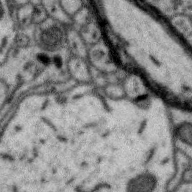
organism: Zebra finch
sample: Brain